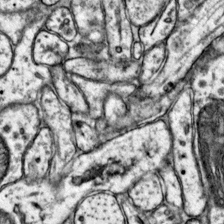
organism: Mouse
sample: Primary visual cortex